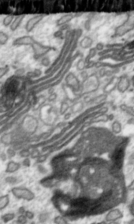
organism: Toxoplasma gondii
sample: Parasites in a vacuole inside a host cell